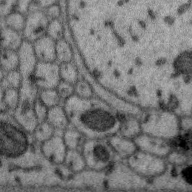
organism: Zebra finch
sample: Brain